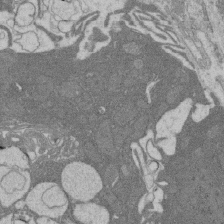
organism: Rat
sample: Salivary granule